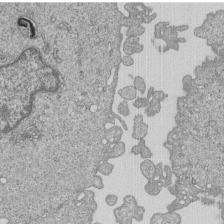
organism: Human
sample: MDA-MB-231 cells